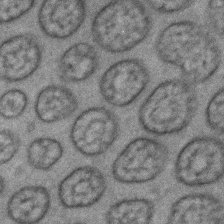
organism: C. elegans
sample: C. elegans embryo